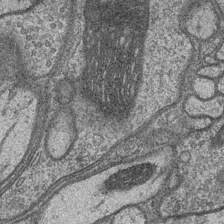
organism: Drosophila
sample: Optic medulla